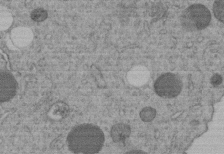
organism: C. elegans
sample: C. elegans embryo early stage